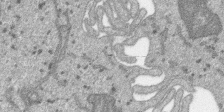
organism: Human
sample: Lung epithelial cells infected with SARS-CoV-2